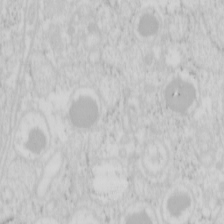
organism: Mouse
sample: Pancreas